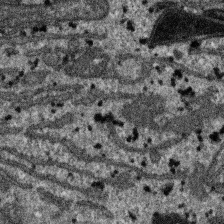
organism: Human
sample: Lung epithelial cells infected with SARS-CoV-2